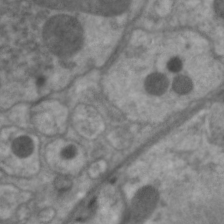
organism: C. elegans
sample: Pharynx